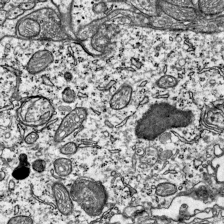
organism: Mouse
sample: Visual Cortex